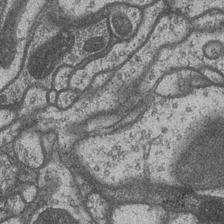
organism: Drosophila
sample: Optic medulla